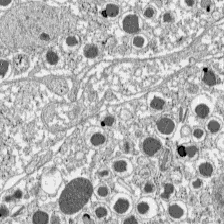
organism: C57BL Mouse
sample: Pancreatic islet